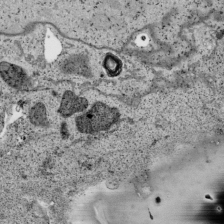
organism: Human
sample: Mitochondria in HCT116 cells